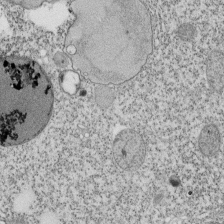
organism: Tetrahymena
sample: Cilia in tetrahymena